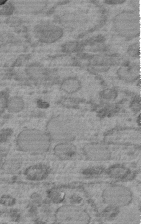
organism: C. elegans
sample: C. elegans embryo early stage